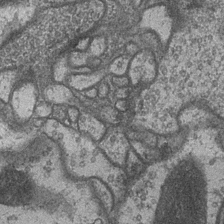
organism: Drosophila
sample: Optic medulla